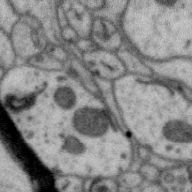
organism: Zebra finch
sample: Brain